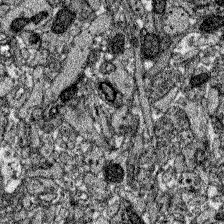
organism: Zebrafish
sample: Larval olfactory bulb